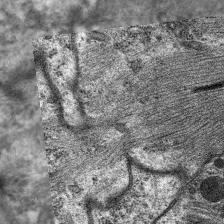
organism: C. elegans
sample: Pharynx